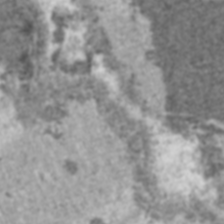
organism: C57BL Mouse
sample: Heart